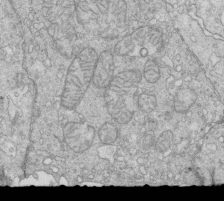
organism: Mouse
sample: Multiciliated cells